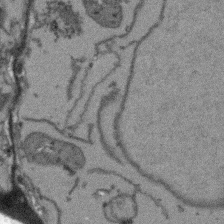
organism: Arabidopsis thaliana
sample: Root tip